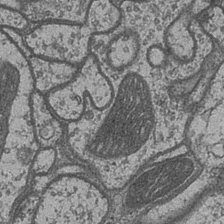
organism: Drosophila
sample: Optic medulla